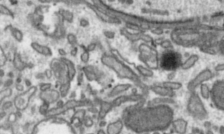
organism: Toxoplasma gondii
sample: Parasites in a vacuole inside a host cell